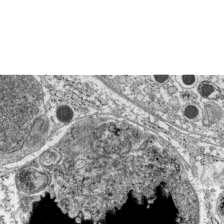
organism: C57BL Mouse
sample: Pancreatic islet